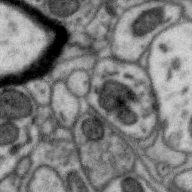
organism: Zebra finch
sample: Brain